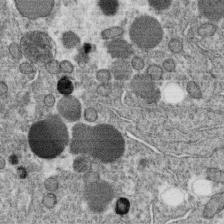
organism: C. elegans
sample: C. elegans oocyte; sperm cells